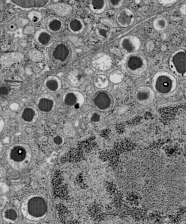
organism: C57BL Mouse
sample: Pancreatic islet